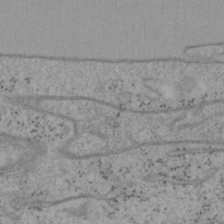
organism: Human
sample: HeLa cells